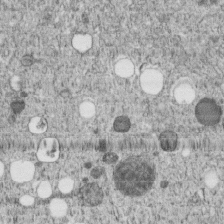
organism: C. elegans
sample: C. elegans embryo early stage